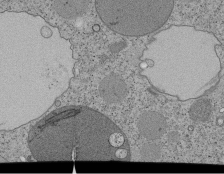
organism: Tetrahymena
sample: Cilia in tetrahymena